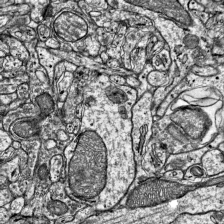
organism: Mouse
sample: Visual Cortex